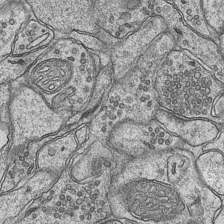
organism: Mouse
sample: CA1 Hippocampus